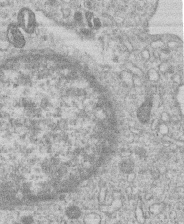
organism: Human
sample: Macrophage cells